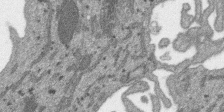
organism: Human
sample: Lung epithelial cells infected with SARS-CoV-2